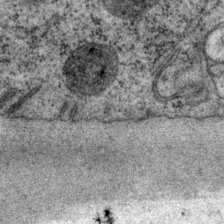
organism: P. pacificus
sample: Pharynx